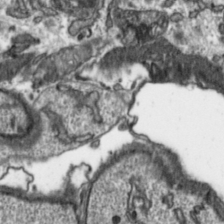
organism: Toxoplasma gondii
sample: Parasites in a vacuole inside a host cell